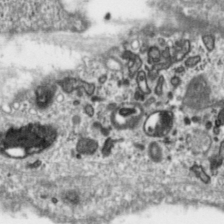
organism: Toxoplasma gondii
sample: Parasites in a vacuole inside a host cell